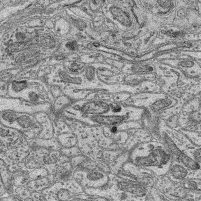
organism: Mouse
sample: Retina